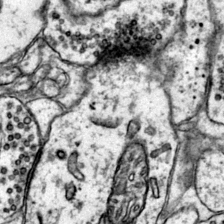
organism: Mouse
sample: Primary visual cortex